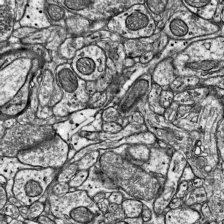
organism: Mouse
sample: Visual Cortex